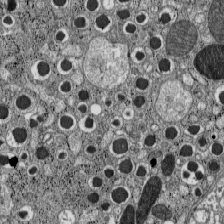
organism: C57BL Mouse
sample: Pancreatic islet